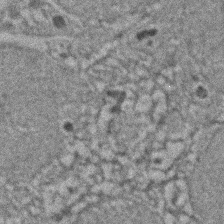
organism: Zebrafish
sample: Zebrafish embryo